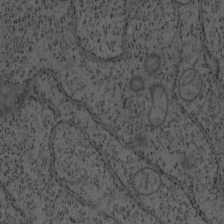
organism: Mouse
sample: OT-I killer T cells with ID8 ovarian cancer cells